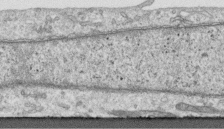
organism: Human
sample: Centriole in RPE cells